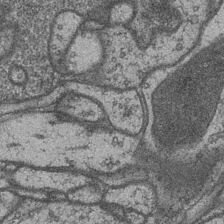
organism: Drosophila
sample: Optic medulla